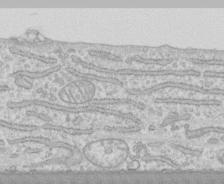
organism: Human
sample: CRL-1474